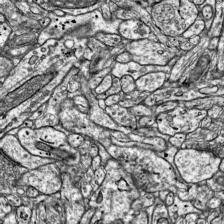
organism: Mouse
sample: Visual Cortex